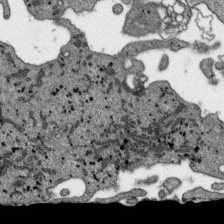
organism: Human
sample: Lung epithelial cells, uninfected (mock) control